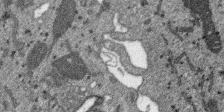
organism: Human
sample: Lung epithelial cells infected with SARS-CoV-2